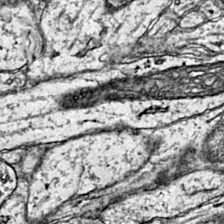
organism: Mouse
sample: Primary visual cortex